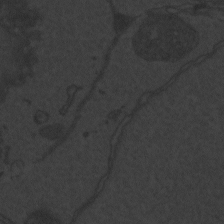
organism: Zebrafish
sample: Macrophage infected with Toxoplasma gondii